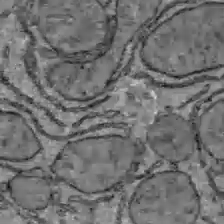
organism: C57BL Mouse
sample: Liver